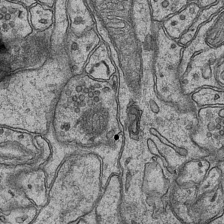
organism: Mouse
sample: CA1 Hippocampus